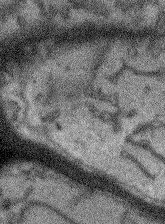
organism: Arabidopsis thaliana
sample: Root tip